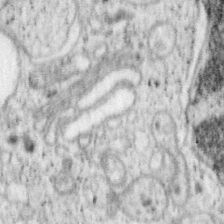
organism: Mouse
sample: OT-I killer T cells with ID8 ovarian cancer cells